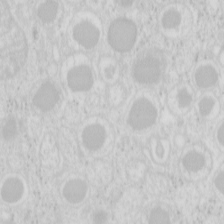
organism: Mouse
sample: Pancreas